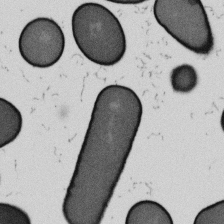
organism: B. subtilis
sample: Bacterial spore